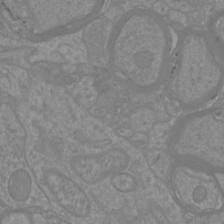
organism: Mouse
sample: Cortical neurons